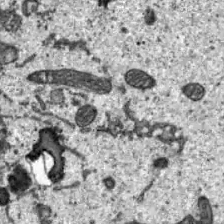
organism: Human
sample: HeLa cells